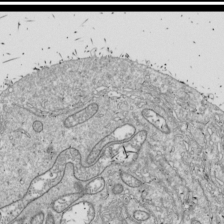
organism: Drosophila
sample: Cell division; meiosis; drosophila spermatocytes